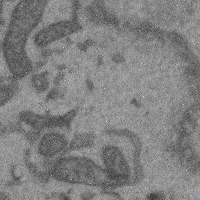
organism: Mouse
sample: Cerebral cortex